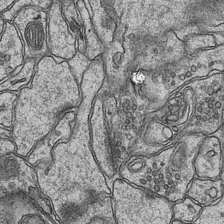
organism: Mouse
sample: CA1 Hippocampus